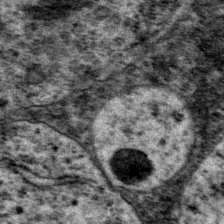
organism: P. pacificus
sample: Pharynx